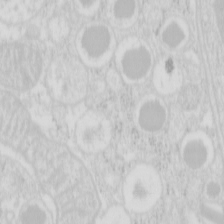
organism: Mouse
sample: Pancreas